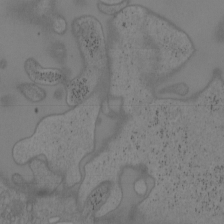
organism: Mouse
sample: OT-I killer T cells with ID8 ovarian cancer cells